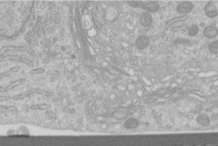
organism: Human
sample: Centriole in RPE cells